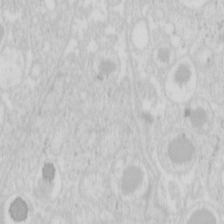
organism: Mouse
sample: Pancreas